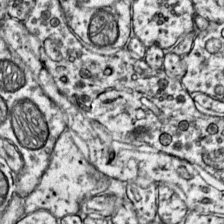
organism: Mouse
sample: Primary visual cortex